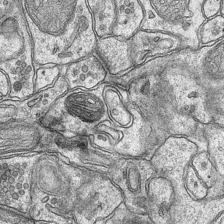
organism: Mouse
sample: CA1 Hippocampus